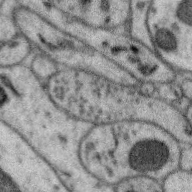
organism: Zebra finch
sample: Brain